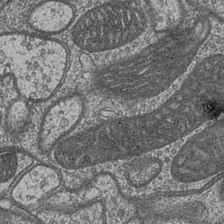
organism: Drosophila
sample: Optic medulla